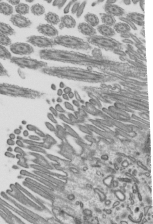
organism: Mouse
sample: Mouse epididymis efferent ductule cilia